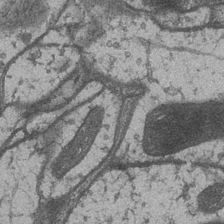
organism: Drosophila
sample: Optic medulla